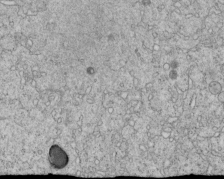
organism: C. elegans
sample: C. elegans embryo early stage